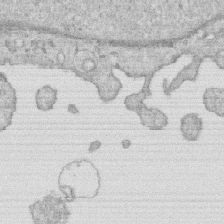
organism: Human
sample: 1205lu cells